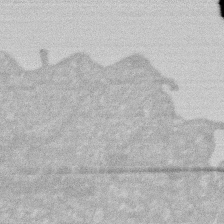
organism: Human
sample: HIV infected U937 cells